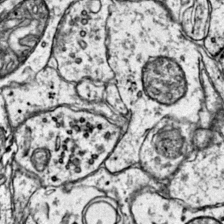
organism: Mouse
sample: Primary visual cortex